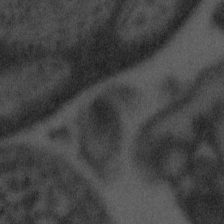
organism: Tuwongella immobilis